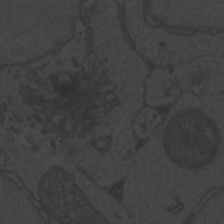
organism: Zebrafish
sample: Macrophage infected with Toxoplasma gondii